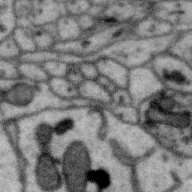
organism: Zebra finch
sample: Brain